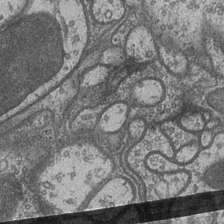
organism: Drosophila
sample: Optic medulla